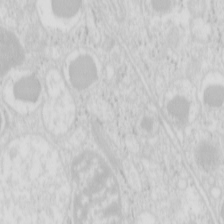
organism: Mouse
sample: Pancreas